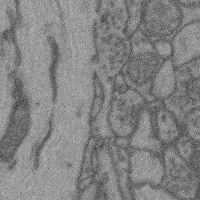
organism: Mouse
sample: Cerebral cortex